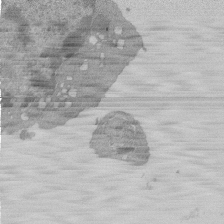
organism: Mouse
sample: Activated Pmel transgenic CD8+ T Cells